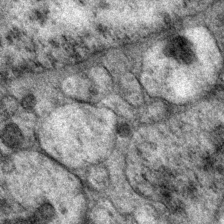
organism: P. pacificus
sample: Pharynx